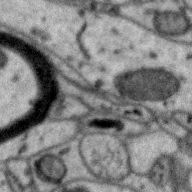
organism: Zebra finch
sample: Brain